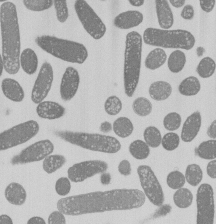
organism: E. coli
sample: Bacterial nucleoid